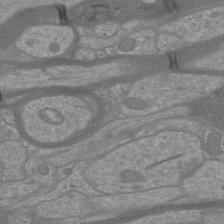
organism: Mouse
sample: Cortical neurons